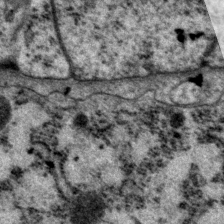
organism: P. pacificus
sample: Pharynx